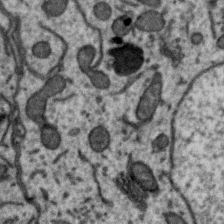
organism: Zebra finch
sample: Brain